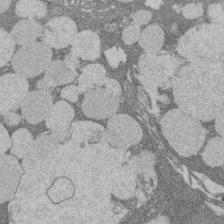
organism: Rat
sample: Salivary granule